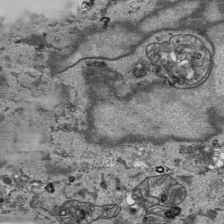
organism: Human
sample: Mitochondria in HCT116 cells